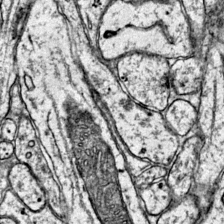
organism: Mouse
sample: Primary visual cortex